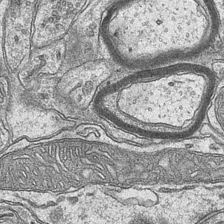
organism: Mouse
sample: CA1 Hippocampus